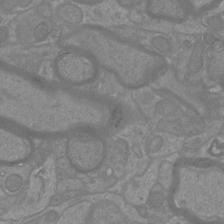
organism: Mouse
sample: Cortical neurons